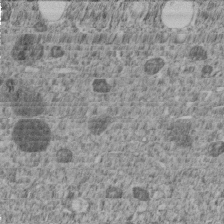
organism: C. elegans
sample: C. elegans embryo early stage